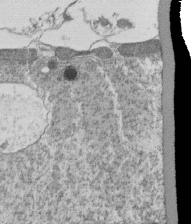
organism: Tetrahymena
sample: Cilia in tetrahymena